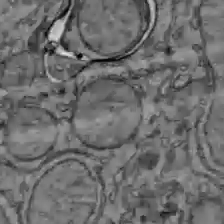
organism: C57BL Mouse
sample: Liver